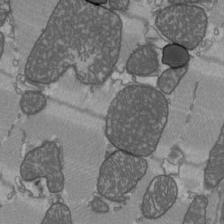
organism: C57BL Mouse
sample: Heart